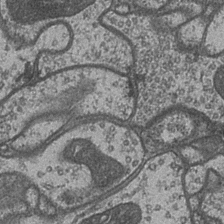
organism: Drosophila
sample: Optic medulla